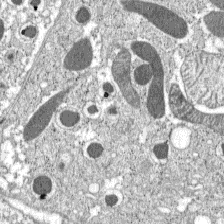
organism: C57BL Mouse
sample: Pancreatic islet